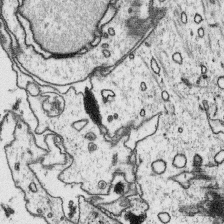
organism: Platynereis dumerilii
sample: Parapodia